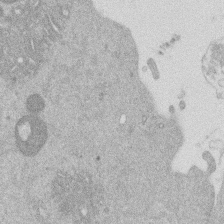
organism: Mouse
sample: Dividing mouse embryo 1 cell stage